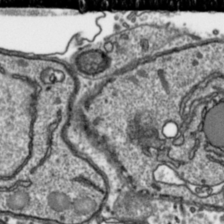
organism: Toxoplasma gondii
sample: Parasites in a vacuole inside a host cell